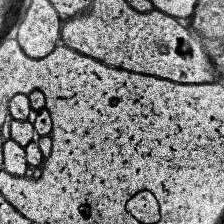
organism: Human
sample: Temporal Lobe